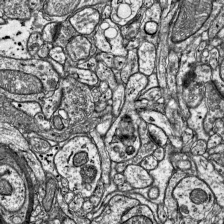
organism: Mouse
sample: Visual Cortex